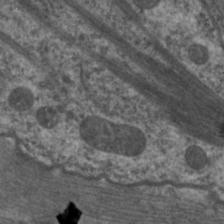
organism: C. elegans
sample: Pharynx